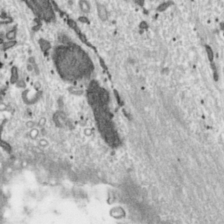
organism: Toxoplasma gondii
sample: Parasites in a vacuole inside a host cell